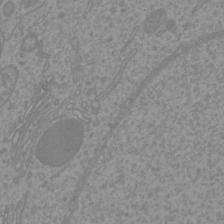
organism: Mouse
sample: Cortical neurons